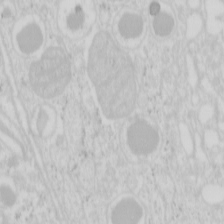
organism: Mouse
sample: Pancreas